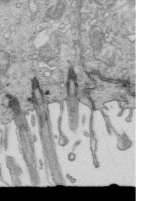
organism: Mouse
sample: Multiciliated cells